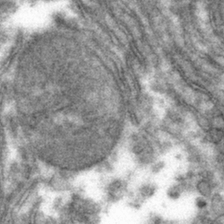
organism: Mouse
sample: Mouse hepatocytes